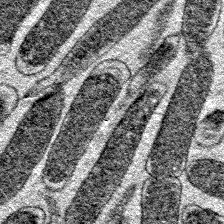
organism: E. coli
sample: E. Coli Bacteria